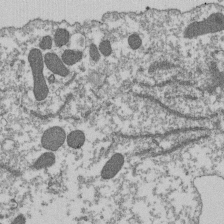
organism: Dictyostelium discoideum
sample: Dictyostelium multivesicular bodies